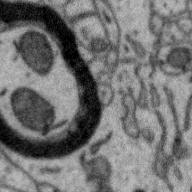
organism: Zebra finch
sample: Brain